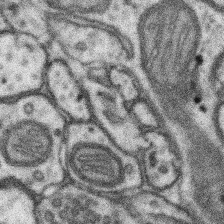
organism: Mouse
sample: Somatosensory cortex neuropil